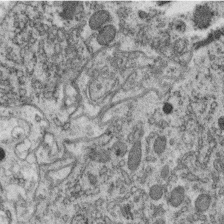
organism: C. elegans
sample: C. elegans oocyte; sperm cells